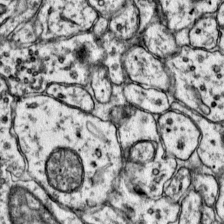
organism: Mouse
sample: Primary visual cortex